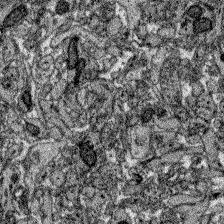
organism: Zebrafish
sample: Larval olfactory bulb